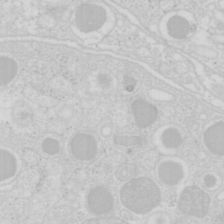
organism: Mouse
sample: Pancreas